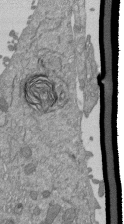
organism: Mouse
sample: ED-1 cell nuclei; centrioles